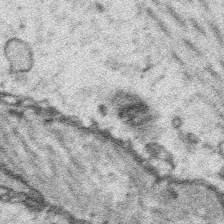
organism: Platynereis dumerilii